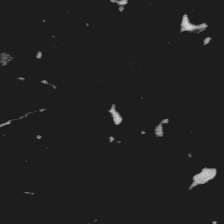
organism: Platynereis dumerilii